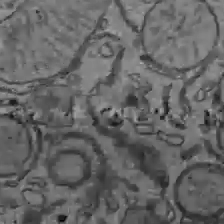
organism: C57BL Mouse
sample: Liver